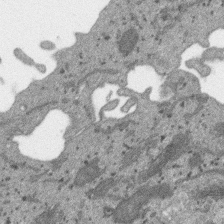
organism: Human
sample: Lung epithelial cells infected with SARS-CoV-2